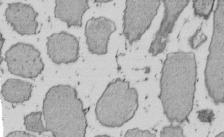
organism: E. coli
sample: Bacterial nucleoid